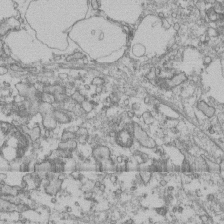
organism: Human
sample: Fibroblast cells